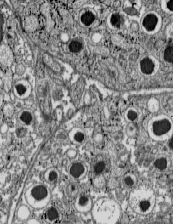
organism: C57BL Mouse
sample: Pancreatic islet